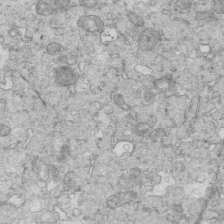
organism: Mouse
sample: Multiciliated cells